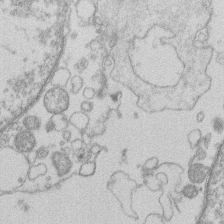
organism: Human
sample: Macrophage cells